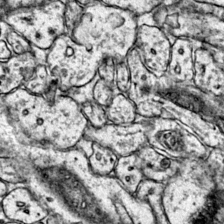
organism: Mouse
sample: Primary visual cortex